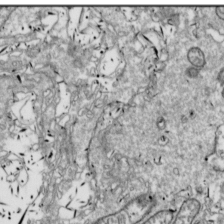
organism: Drosophila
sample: Cell division; meiosis; drosophila spermatocytes